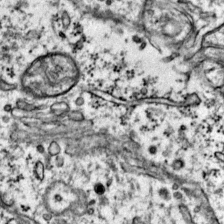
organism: Mouse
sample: Primary visual cortex